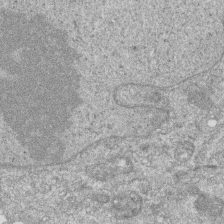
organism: Human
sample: HeLa cell HIV synapse